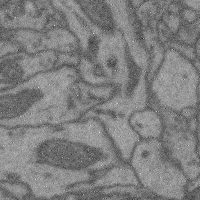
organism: Mouse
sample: Cerebral cortex